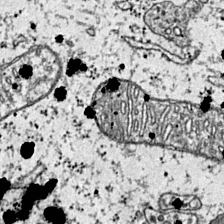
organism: Mouse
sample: Primary visual cortex